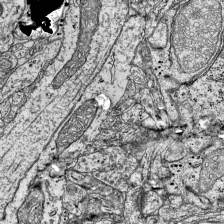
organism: Mouse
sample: Visual Cortex